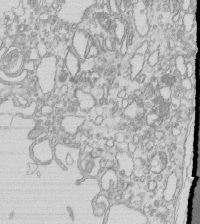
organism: Mouse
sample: Macrophages